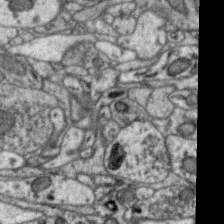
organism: Zebra finch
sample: Brain